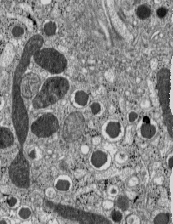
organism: C57BL Mouse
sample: Pancreatic islet